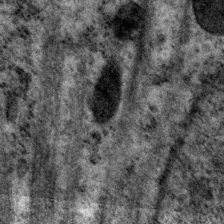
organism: P. pacificus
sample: Pharynx